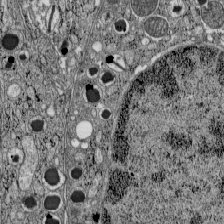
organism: C57BL Mouse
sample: Pancreatic islet